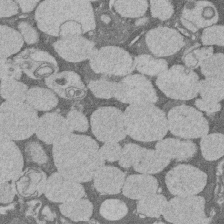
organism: Rat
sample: Salivary granule